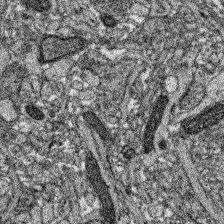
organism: Zebrafish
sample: Larval olfactory bulb